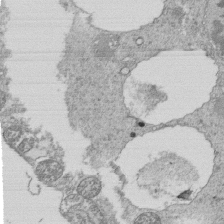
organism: Tetrahymena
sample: Cilia in tetrahymena